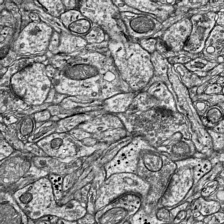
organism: Mouse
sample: Visual Cortex